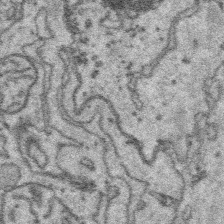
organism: Platynereis dumerilii